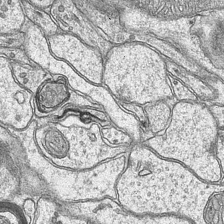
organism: Mouse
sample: CA1 Hippocampus